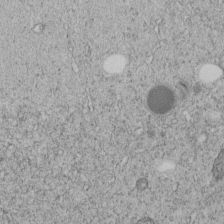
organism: C. elegans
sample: C. elegans embryo early stage